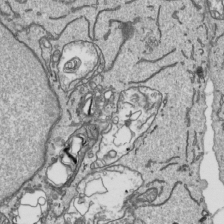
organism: Human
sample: Mitochondria in HCT116 cells